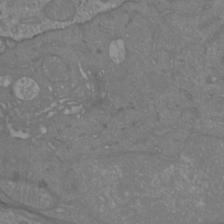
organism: Mouse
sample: Cortical neurons